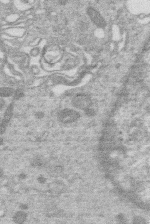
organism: Human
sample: Macrophage cells